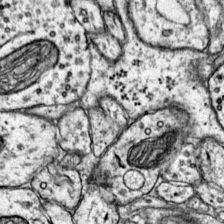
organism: Mouse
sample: Primary visual cortex